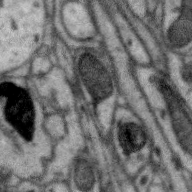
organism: Zebra finch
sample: Brain